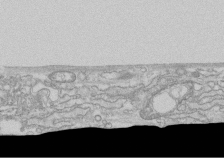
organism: Human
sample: CRL-1474